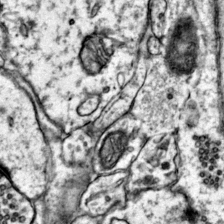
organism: Mouse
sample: Primary visual cortex